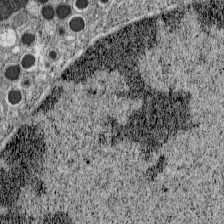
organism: C57BL Mouse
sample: Pancreatic islet